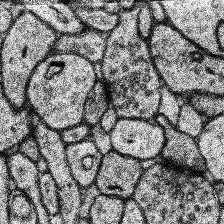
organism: Human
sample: Temporal Lobe